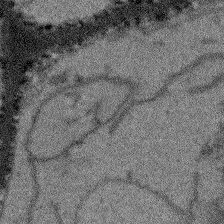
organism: Arabidopsis thaliana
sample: Root tip